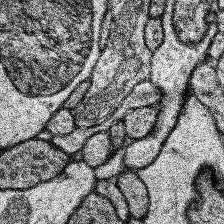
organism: Human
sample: Temporal Lobe